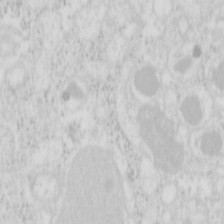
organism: Mouse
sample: Pancreas